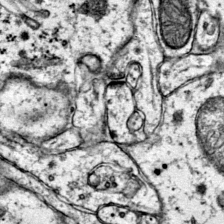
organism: Mouse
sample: Primary visual cortex